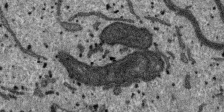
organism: Human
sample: Lung epithelial cells, uninfected (mock) control